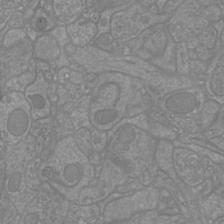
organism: Mouse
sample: Cortical neurons